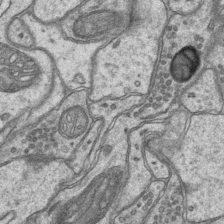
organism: Mouse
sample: CA1 Hippocampus